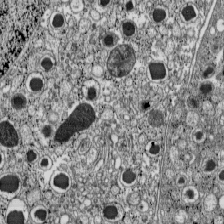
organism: C57BL Mouse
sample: Pancreatic islet